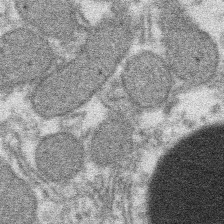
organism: Xenopus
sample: Cilia; centrioles in frog embryo cells